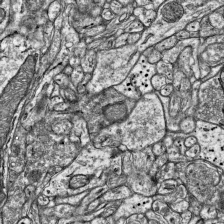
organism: Mouse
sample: Visual Cortex